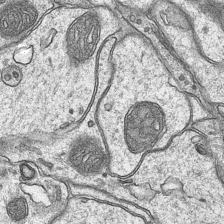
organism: Mouse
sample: CA1 Hippocampus